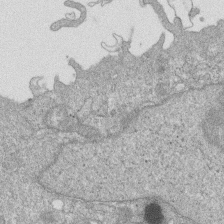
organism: Human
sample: HeLa cell HIV synapse